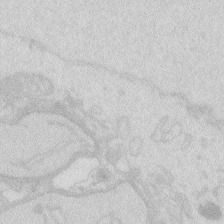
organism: Zebrafish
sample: Macrophage